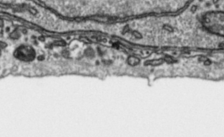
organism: Toxoplasma gondii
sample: Parasites in a vacuole inside a host cell